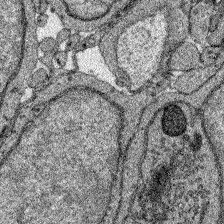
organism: Zebrafish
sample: Larval olfactory bulb